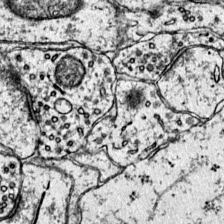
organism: Mouse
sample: Primary visual cortex